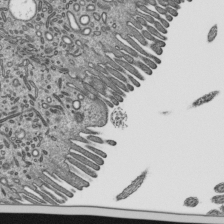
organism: Mouse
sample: Mouse epididymis efferent ductule cilia